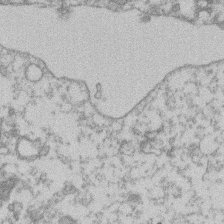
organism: Mouse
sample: T cell stromal cell synapse